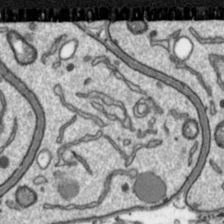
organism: Toxoplasma gondii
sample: Parasites in a vacuole inside a host cell